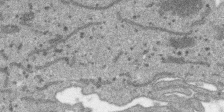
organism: Human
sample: Lung epithelial cells infected with SARS-CoV-2